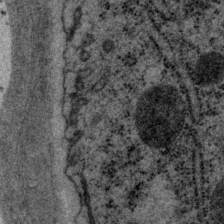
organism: P. pacificus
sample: Pharynx